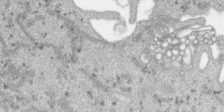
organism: Human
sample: Lung epithelial cells infected with SARS-CoV-2